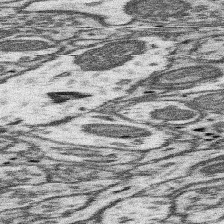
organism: Mouse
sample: Somatosensory cortex neuropil